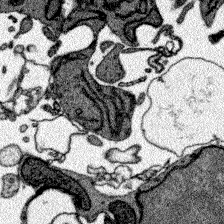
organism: Zebrafish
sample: Larval olfactory bulb